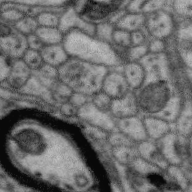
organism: Zebra finch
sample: Brain